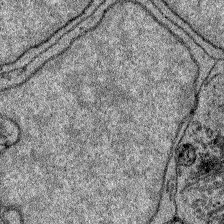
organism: Zebrafish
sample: Larval olfactory bulb